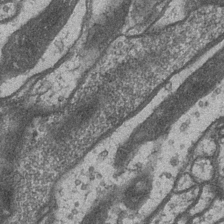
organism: Drosophila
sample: Optic medulla